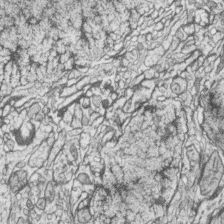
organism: Zebrafish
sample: synaptic ribbons in rod cells and cone cells